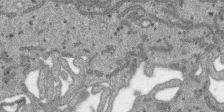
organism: Human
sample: Lung epithelial cells infected with SARS-CoV-2